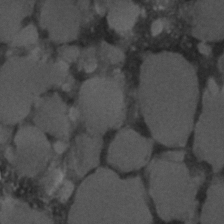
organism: C. elegans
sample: C. elegans embryo